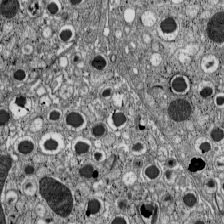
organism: C57BL Mouse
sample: Pancreatic islet